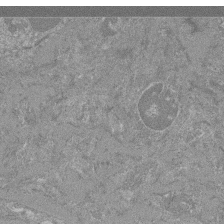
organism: Mouse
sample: Glomerulus